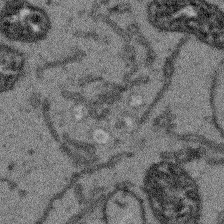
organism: Arabidopsis thaliana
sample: Root tip